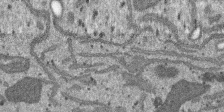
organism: Human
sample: Lung epithelial cells infected with SARS-CoV-2